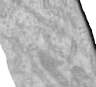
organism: Human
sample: Centriole in RPE cells